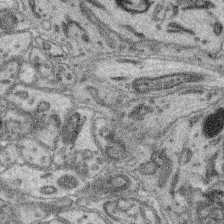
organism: Mouse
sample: Retina